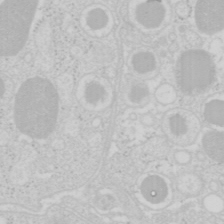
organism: Mouse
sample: Pancreas